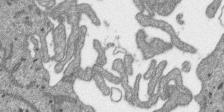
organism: Human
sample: Lung epithelial cells infected with SARS-CoV-2